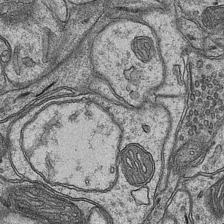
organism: Mouse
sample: CA1 Hippocampus